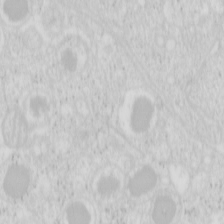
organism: Mouse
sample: Pancreas